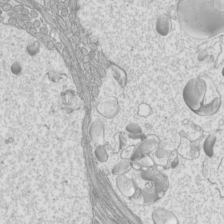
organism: Mouse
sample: Cilia; mouse epididymis